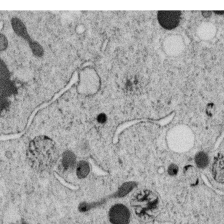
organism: C. elegans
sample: C. elegans oocyte; sperm cells